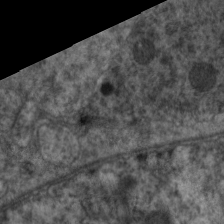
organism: C. elegans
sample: Pharynx